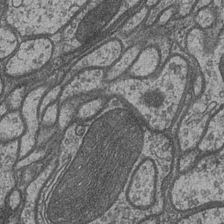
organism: Drosophila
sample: Optic medulla